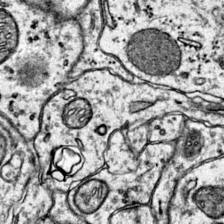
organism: Mouse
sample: Primary visual cortex